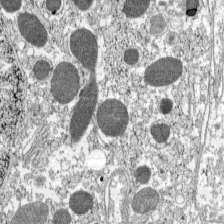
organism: C57BL Mouse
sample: Pancreatic islet